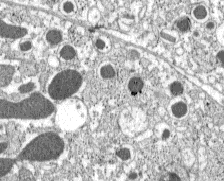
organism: C57BL Mouse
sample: Pancreatic islet